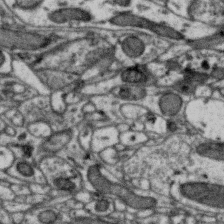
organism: Zebra finch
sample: Brain